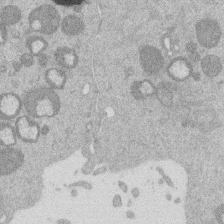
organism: Mouse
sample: Dividing mouse embryo 1 cell stage